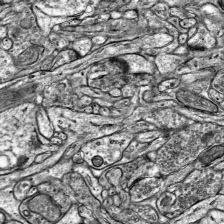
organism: Mouse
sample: Visual Cortex